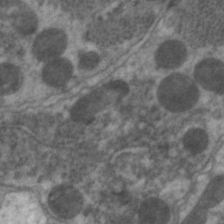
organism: C. elegans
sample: Pharynx